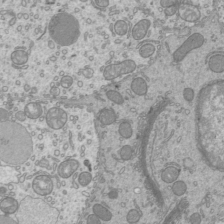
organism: Mouse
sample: Cilia; mouse epididymis